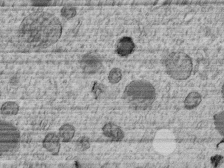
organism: C. elegans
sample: C. elegans embryo early stage